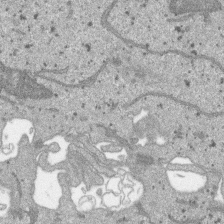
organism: Human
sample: Lung epithelial cells infected with SARS-CoV-2